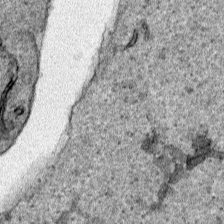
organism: Human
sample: Mitochondria in HCT116 cells